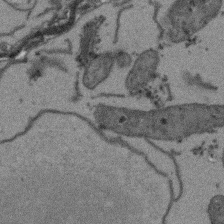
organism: Arabidopsis thaliana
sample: Root tip